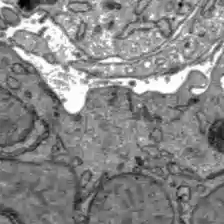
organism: C57BL Mouse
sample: Liver